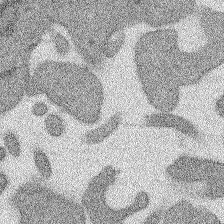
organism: Human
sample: HeLa cells